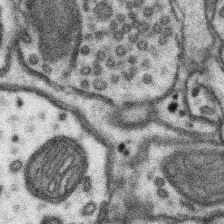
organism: Mouse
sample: Somatosensory cortex neuropil